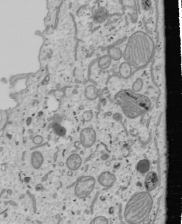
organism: Human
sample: Mitochondria in U2OS cells